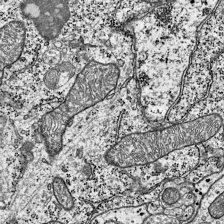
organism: Mouse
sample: Visual Cortex